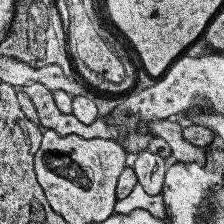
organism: Human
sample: Temporal Lobe